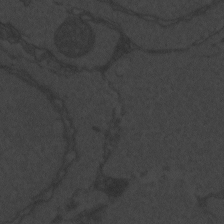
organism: Zebrafish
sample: Macrophage infected with Toxoplasma gondii